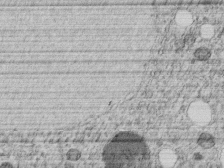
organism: C. elegans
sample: C. elegans embryo early stage